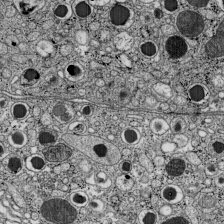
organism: C57BL Mouse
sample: Pancreatic islet